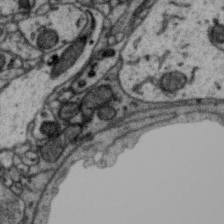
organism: Zebra finch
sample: Brain